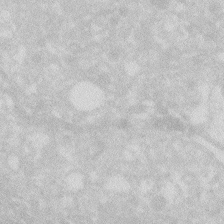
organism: Zebrafish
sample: Macrophage